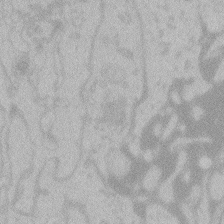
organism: Zebrafish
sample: Macrophage infected with Toxoplasma gondii